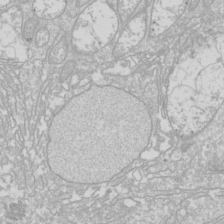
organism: Drosophila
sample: Cell division; meiosis; drosophila spermatocytes